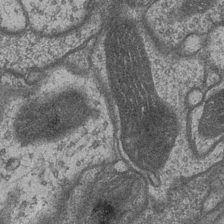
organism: Drosophila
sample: Optic medulla